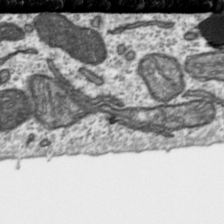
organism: Toxoplasma gondii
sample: Parasites in a vacuole inside a host cell